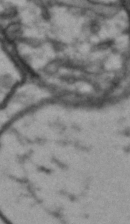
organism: Drosophila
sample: Brain